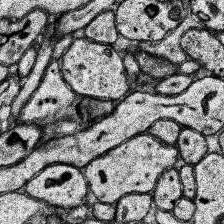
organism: Human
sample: Temporal Lobe